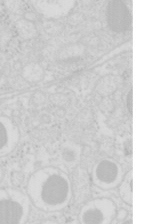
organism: Mouse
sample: Pancreas